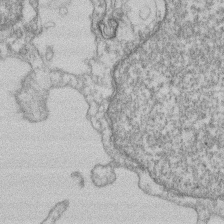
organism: Mouse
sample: T cell stromal cell synapse